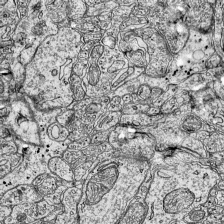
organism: Mouse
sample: Visual Cortex